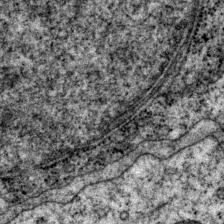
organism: P. pacificus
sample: Pharynx